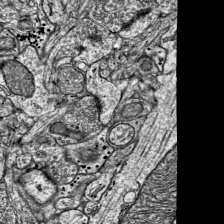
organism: Mouse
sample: Visual Cortex